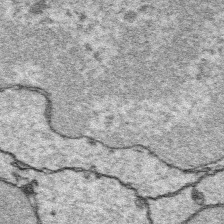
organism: Platynereis dumerilii